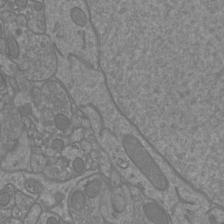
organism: Mouse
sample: Cortical neurons